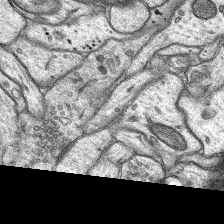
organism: Rat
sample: Hippocampus